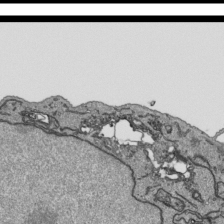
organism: Human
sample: Mitochondria in HCT116 cells